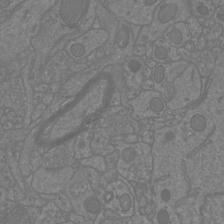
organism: Mouse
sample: Cortical neurons